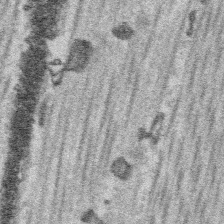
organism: Platynereis dumerilii